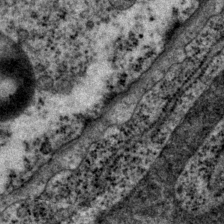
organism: P. pacificus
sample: Pharynx